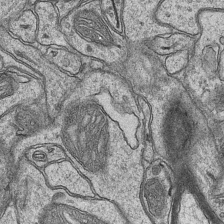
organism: Mouse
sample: CA1 Hippocampus